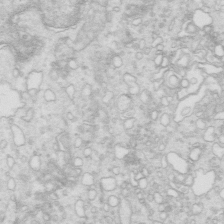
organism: Mouse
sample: Multiciliated cells